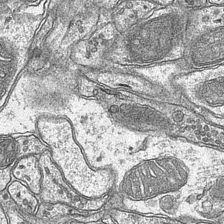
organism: Mouse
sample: CA1 Hippocampus